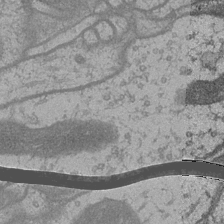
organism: Drosophila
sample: Optic medulla